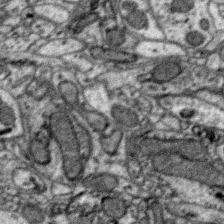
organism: Zebra finch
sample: Brain